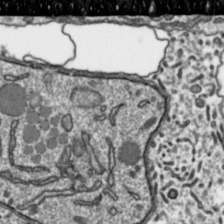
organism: Toxoplasma gondii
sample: Parasites in a vacuole inside a host cell